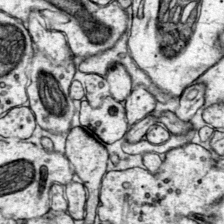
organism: Mouse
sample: Primary visual cortex